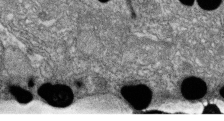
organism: Zebrafish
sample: Cilia; retinal pigment epithelium